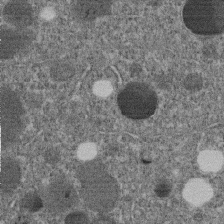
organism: C. elegans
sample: C. elegans embryo early stage